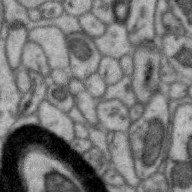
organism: Zebra finch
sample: Brain